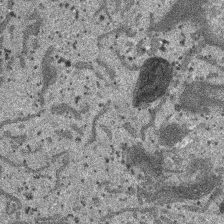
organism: Human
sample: Lung epithelial cells infected with SARS-CoV-2